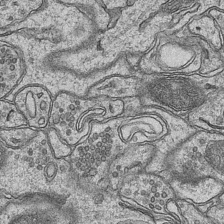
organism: Mouse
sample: CA1 Hippocampus